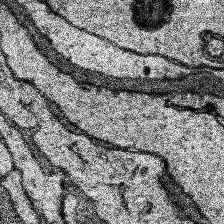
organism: Human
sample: Temporal Lobe